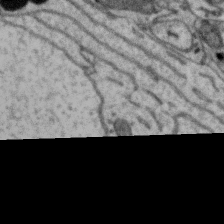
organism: Zebra finch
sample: Brain